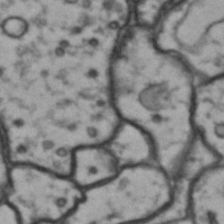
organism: Drosophila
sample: Brain